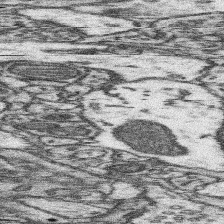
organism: Mouse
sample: Somatosensory cortex neuropil